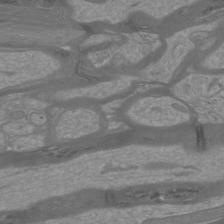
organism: Mouse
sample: Cortical neurons